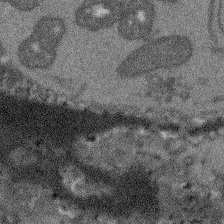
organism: Arabidopsis thaliana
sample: Root tip